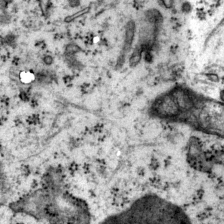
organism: Mouse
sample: Primary visual cortex